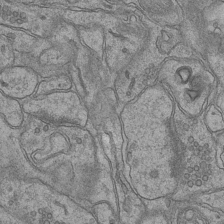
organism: Mouse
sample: CA1 Hippocampus